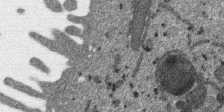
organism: Human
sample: Lung epithelial cells infected with SARS-CoV-2